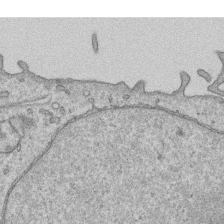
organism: Human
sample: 1205lu cells